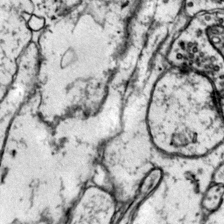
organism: Mouse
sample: Primary visual cortex